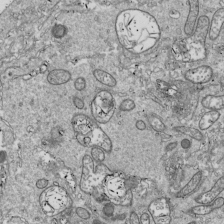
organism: Drosophila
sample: Cell division; meiosis; drosophila spermatocytes